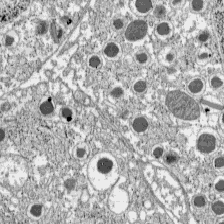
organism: C57BL Mouse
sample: Pancreatic islet